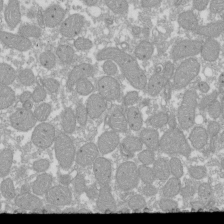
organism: Xenopus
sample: Cilia; centrioles in frog embryo cells